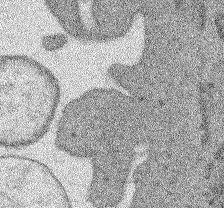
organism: Human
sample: HeLa cells